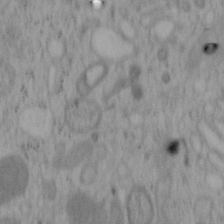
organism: Mouse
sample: OT-I killer T cells with ID8 ovarian cancer cells